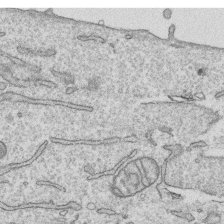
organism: Human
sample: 1205lu cells